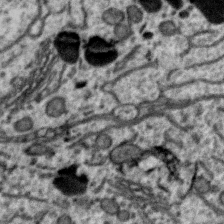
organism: Zebra finch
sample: Brain